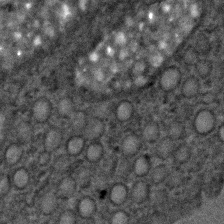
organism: C. elegans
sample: C. elegans embryo